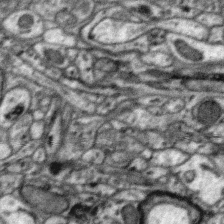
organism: Zebra finch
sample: Brain